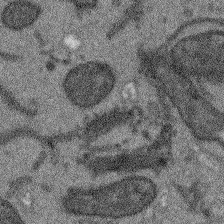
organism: Arabidopsis thaliana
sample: Root tip